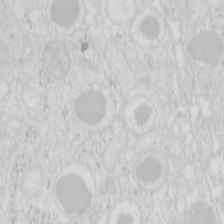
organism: Mouse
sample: Pancreas